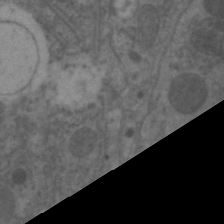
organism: C. elegans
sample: Pharynx